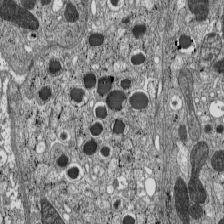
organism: C57BL Mouse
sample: Pancreatic islet